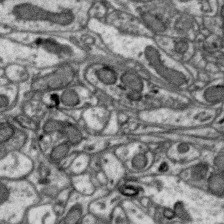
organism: Zebra finch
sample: Brain